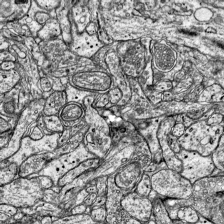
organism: Mouse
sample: Visual Cortex